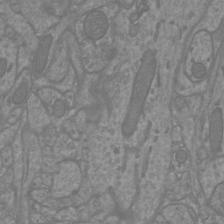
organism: Mouse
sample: Cortical neurons